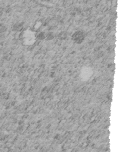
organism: C. elegans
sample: C. elegans embryo early stage